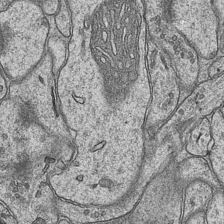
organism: Mouse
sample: CA1 Hippocampus